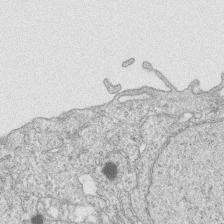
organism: Human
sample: HeLa cell HIV synapse